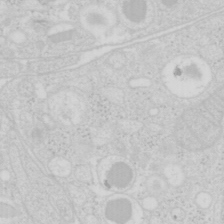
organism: Mouse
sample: Pancreas